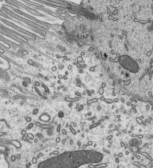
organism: Mouse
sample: Mouse epididymis efferent ductule cilia